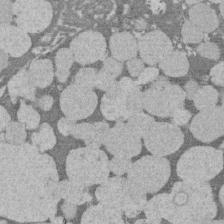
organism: Rat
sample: Salivary granule